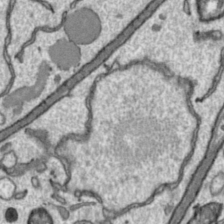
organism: Toxoplasma gondii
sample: Parasites in a vacuole inside a host cell